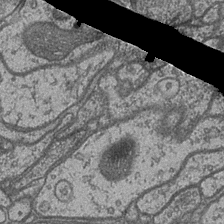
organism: Drosophila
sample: Optic medulla